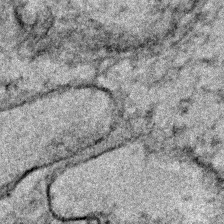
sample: Trachea